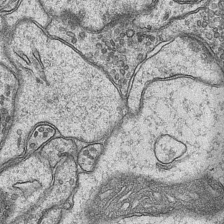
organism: Mouse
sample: CA1 Hippocampus